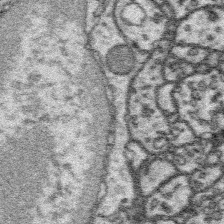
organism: Platynereis dumerilii